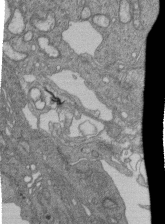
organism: Human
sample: Retinal organoid Rod and Cone cells